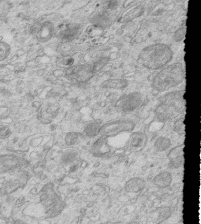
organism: Mouse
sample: Multiciliated cells